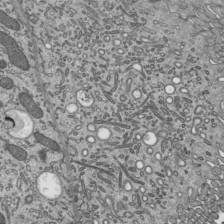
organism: Mouse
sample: Mouse epididymis efferent ductule cilia